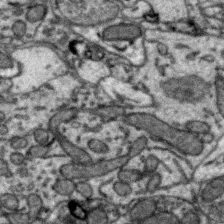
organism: Zebra finch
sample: Brain